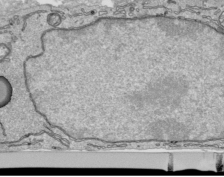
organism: Human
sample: Mitochondria in HCT116 cells